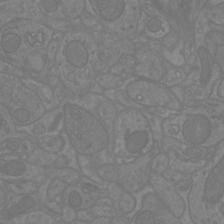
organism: Mouse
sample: Cortical neurons